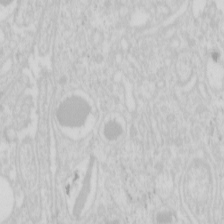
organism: Mouse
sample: Pancreas